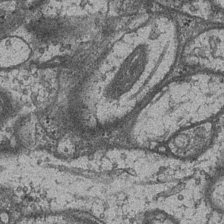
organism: Drosophila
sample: Optic medulla